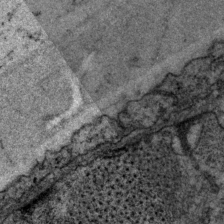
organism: P. pacificus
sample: Pharynx